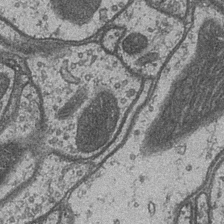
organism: Drosophila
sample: Optic medulla